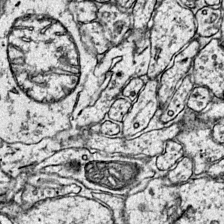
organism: Mouse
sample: Primary visual cortex